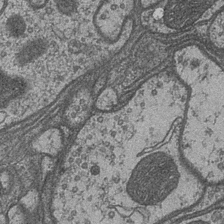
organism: Drosophila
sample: Optic medulla